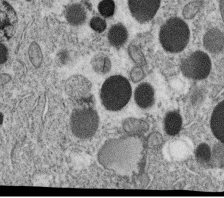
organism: C. elegans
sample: C. elegans oocyte; sperm cells